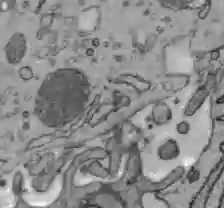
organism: C57BL Mouse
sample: Liver